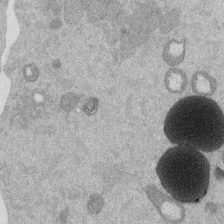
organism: Mouse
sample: Dividing mouse embryo 1 cell stage